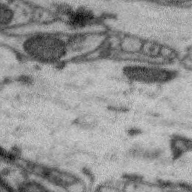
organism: Zebra finch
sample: Brain